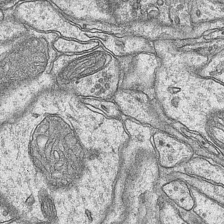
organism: Mouse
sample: CA1 Hippocampus